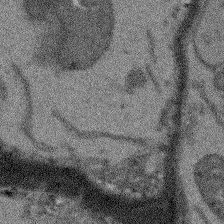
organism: Arabidopsis thaliana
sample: Root tip